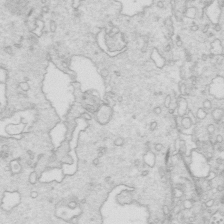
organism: Mouse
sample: Multiciliated cells